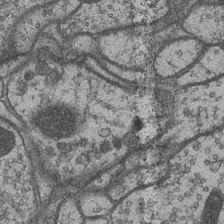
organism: Drosophila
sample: Optic medulla